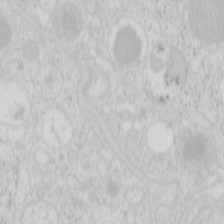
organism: Mouse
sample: Pancreas